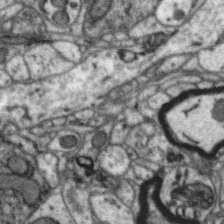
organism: Zebra finch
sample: Brain